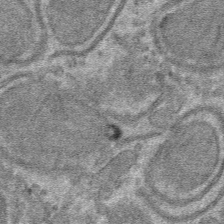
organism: Mouse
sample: Mouse hepatocytes